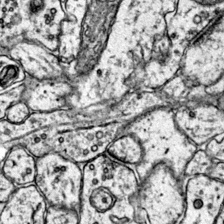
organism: Mouse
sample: Primary visual cortex